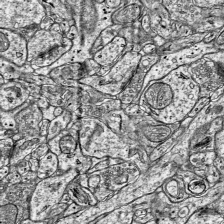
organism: Mouse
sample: Visual Cortex